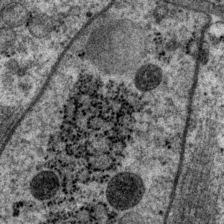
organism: P. pacificus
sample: Pharynx